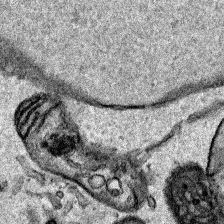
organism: Human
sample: Mitochondria in HCT116 cells